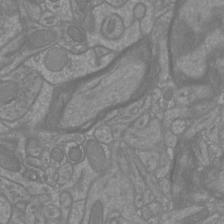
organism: Mouse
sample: Cortical neurons